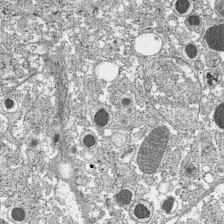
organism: C57BL Mouse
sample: Pancreatic islet